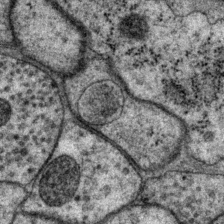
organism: P. pacificus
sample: Pharynx